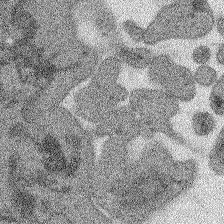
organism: Human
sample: HeLa cells